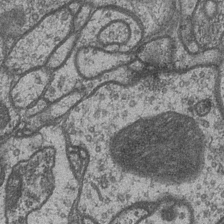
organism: Drosophila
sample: Optic medulla